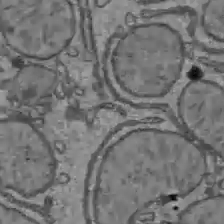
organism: C57BL Mouse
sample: Liver